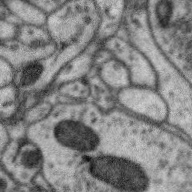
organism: Zebra finch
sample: Brain